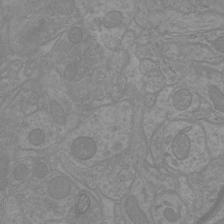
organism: Mouse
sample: Cortical neurons